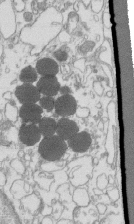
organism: Mouse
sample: Macrophages